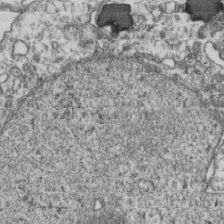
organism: Human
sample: Activated Jurkat CD4+ T cells